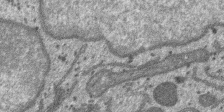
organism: Human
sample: Lung epithelial cells infected with SARS-CoV-2